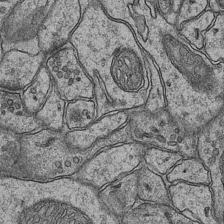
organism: Mouse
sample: CA1 Hippocampus